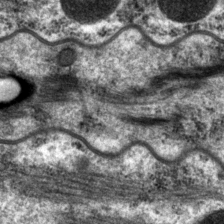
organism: P. pacificus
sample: Pharynx